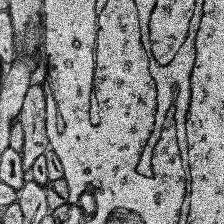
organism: Human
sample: Temporal Lobe